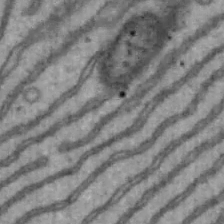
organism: Mouse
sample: Liver